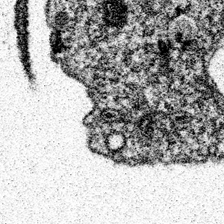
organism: Spongilla lacustris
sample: Neuroid cell